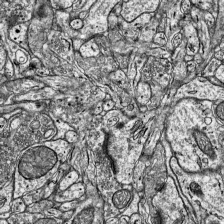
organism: Mouse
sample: Visual Cortex